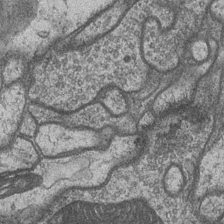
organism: Drosophila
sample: Optic medulla